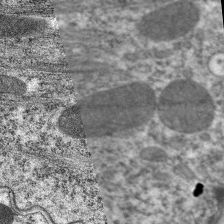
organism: C. elegans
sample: Pharynx